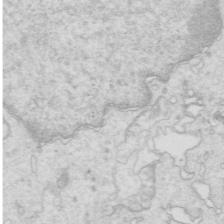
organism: Mouse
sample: Multiciliated cells